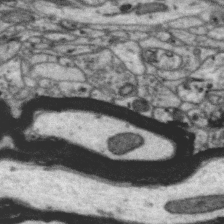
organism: Zebra finch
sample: Brain